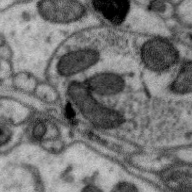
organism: Zebra finch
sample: Brain